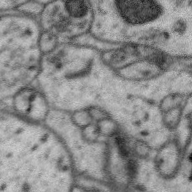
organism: Zebra finch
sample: Brain